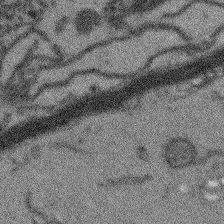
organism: Arabidopsis thaliana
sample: Root tip